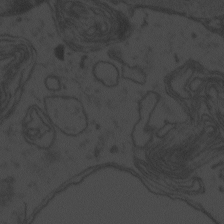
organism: Zebrafish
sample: Macrophage infected with Toxoplasma gondii